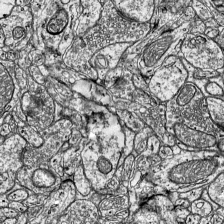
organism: Mouse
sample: Visual Cortex